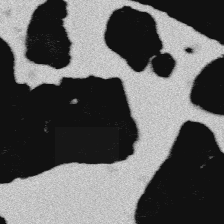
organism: Platynereis dumerilii